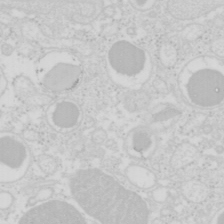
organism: Mouse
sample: Pancreas